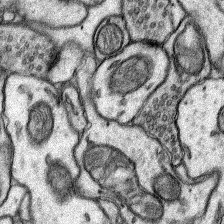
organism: Rat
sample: Hippocampus